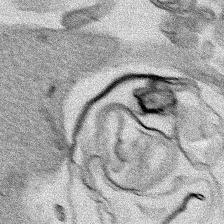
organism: Human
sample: Mitochondria in HCT116 cells